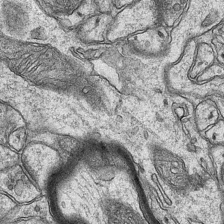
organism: Mouse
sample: CA1 Hippocampus